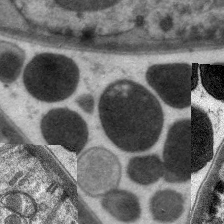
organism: C. elegans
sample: Pharynx